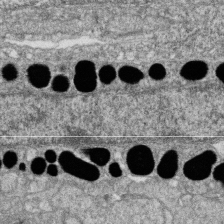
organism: Zebrafish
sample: Cilia; retinal pigment epithelium